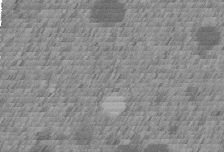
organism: C. elegans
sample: C. elegans embryo early stage